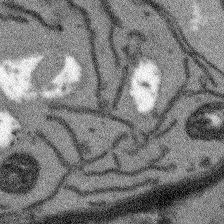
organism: Arabidopsis thaliana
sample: Root tip